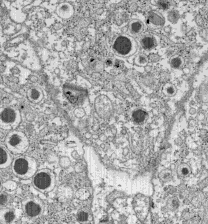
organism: C57BL Mouse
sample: Pancreatic islet